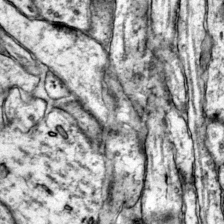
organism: Mouse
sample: Primary visual cortex